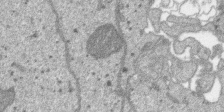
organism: Human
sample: Lung epithelial cells infected with SARS-CoV-2